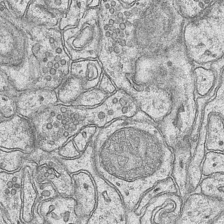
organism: Mouse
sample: CA1 Hippocampus